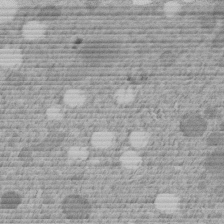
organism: C. elegans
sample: C. elegans embryo early stage